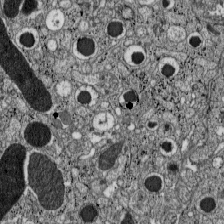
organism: C57BL Mouse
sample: Pancreatic islet